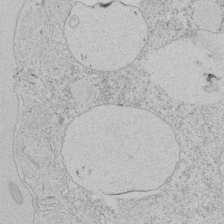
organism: Tetrahymena